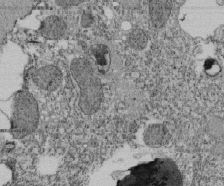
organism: Tetrahymena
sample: Cilia in tetrahymena